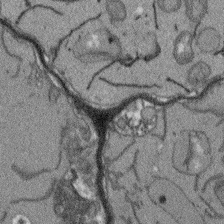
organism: Arabidopsis thaliana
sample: Root tip